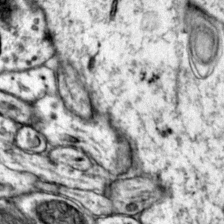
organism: Mouse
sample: Primary visual cortex